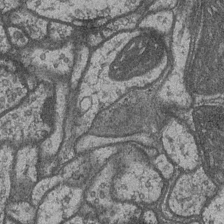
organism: Drosophila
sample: Optic medulla